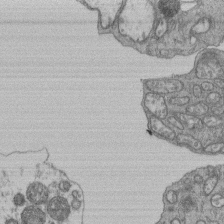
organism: Human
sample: Retinal organoid Rod and Cone cells